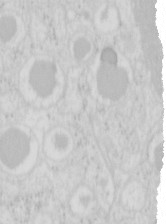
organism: Mouse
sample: Pancreas